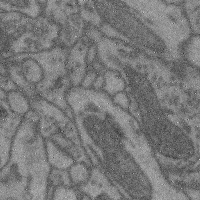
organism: Mouse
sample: Cerebral cortex